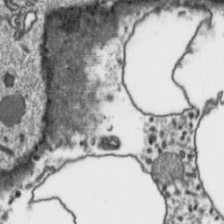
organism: Toxoplasma gondii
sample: Parasites in a vacuole inside a host cell